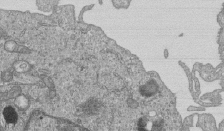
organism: Human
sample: MDA-MB-231 cells